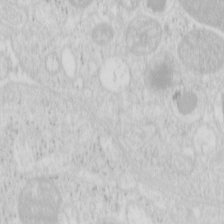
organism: Mouse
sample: Pancreas